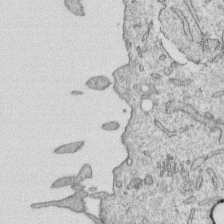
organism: Human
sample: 1205lu cells